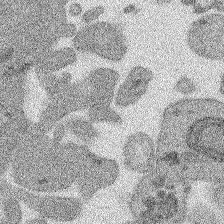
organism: Human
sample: HeLa cells